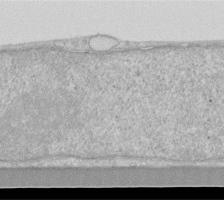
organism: Human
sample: Fibroblast cells